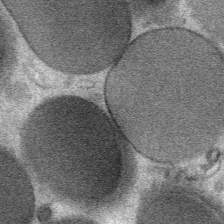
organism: Mouse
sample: Mouse Salivary gland